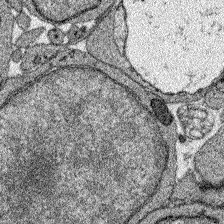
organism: Zebrafish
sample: Larval olfactory bulb